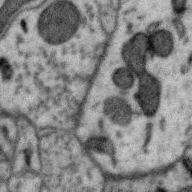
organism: Zebra finch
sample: Brain